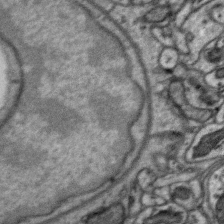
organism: Zebra finch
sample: Brain